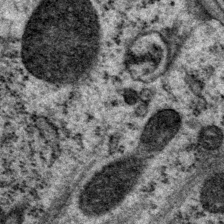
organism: P. pacificus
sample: Pharynx